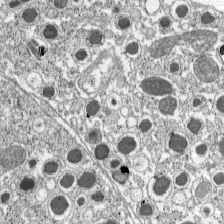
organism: C57BL Mouse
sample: Pancreatic islet